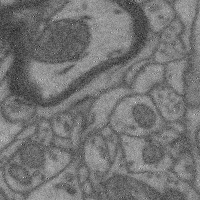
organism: Mouse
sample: Cerebral cortex